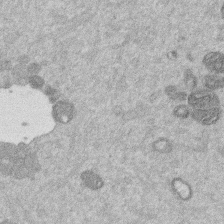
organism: Mouse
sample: Dividing mouse embryo 1 cell stage